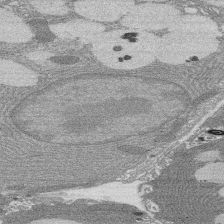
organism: Rat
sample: Salivary granule